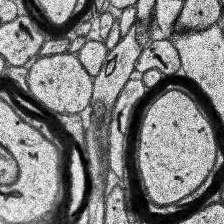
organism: Human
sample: Temporal Lobe